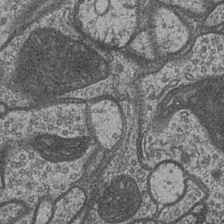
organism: Drosophila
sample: Optic medulla